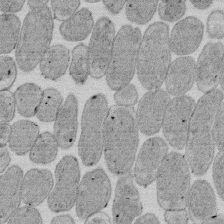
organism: E. coli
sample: Bacterial nucleoid